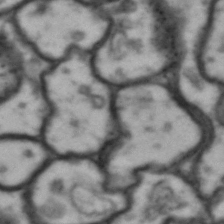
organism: Drosophila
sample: Brain